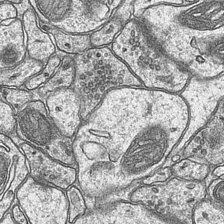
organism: Mouse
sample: CA1 Hippocampus